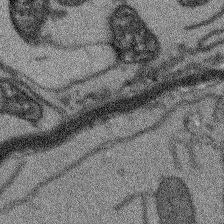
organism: Arabidopsis thaliana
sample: Root tip